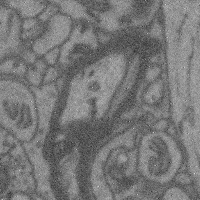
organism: Mouse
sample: Cerebral cortex